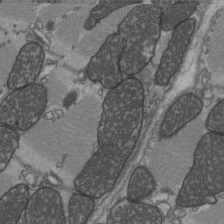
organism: C57BL Mouse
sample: Heart